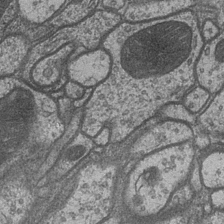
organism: Drosophila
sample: Optic medulla